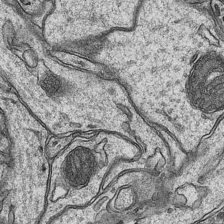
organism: Mouse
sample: CA1 Hippocampus